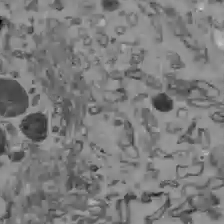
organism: C57BL Mouse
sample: Liver